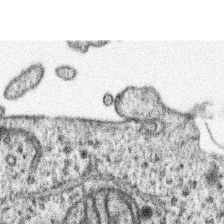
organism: Human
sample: HeLa cells